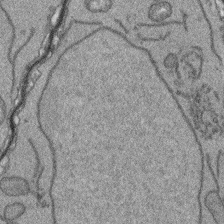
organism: Arabidopsis thaliana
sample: Root tip